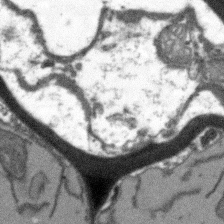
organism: Arabidopsis thaliana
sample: Root tip